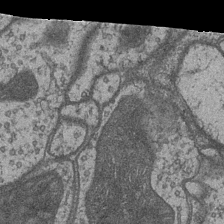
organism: Drosophila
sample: Optic medulla